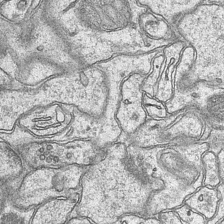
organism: Mouse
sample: CA1 Hippocampus